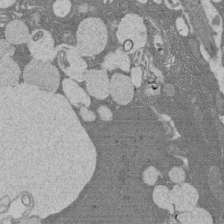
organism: Rat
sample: Salivary granule